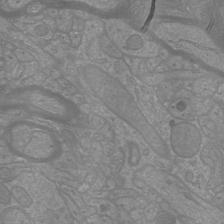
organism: Mouse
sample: Cortical neurons